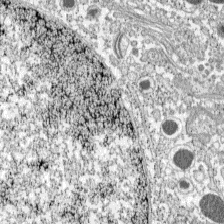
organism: C57BL Mouse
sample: Pancreatic islet